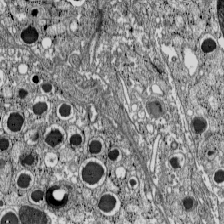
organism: C57BL Mouse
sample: Pancreatic islet